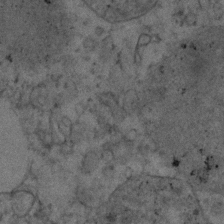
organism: Human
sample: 1205lu cells